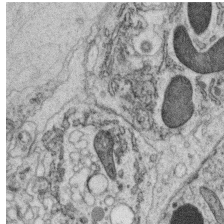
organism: C. elegans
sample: C. elegans oocyte; sperm cells